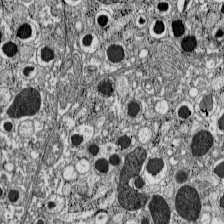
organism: C57BL Mouse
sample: Pancreatic islet